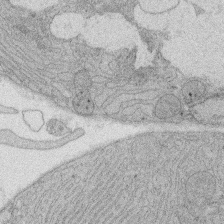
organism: Rat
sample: Salivary granule